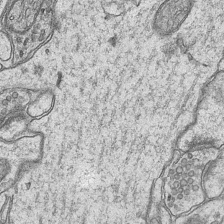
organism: Mouse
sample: CA1 Hippocampus